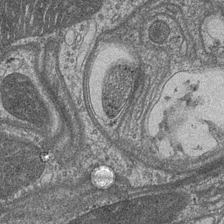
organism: Drosophila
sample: Optic medulla